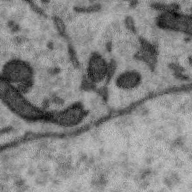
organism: Zebra finch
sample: Brain